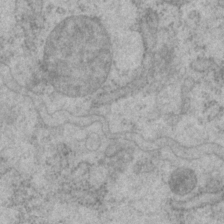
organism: P. pacificus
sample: Pharynx